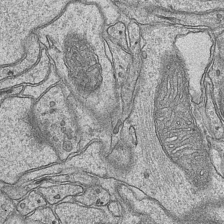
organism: Mouse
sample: CA1 Hippocampus